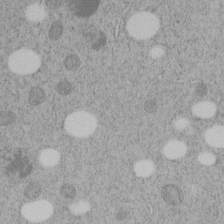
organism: C. elegans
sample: C. elegans embryo early stage